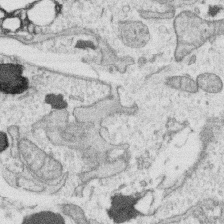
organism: Human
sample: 1205lu cells